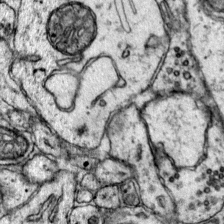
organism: Mouse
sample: Primary visual cortex